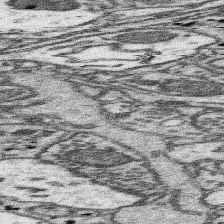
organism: Mouse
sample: Somatosensory cortex neuropil